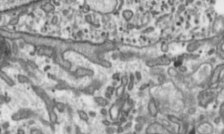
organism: Toxoplasma gondii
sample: Parasites in a vacuole inside a host cell